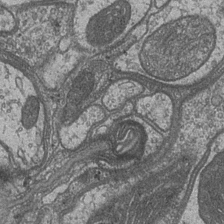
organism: Drosophila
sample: Optic medulla